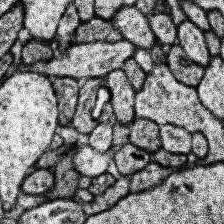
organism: Human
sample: Temporal Lobe